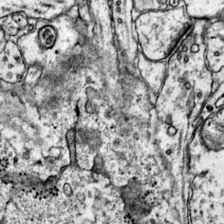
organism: Mouse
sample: Primary visual cortex